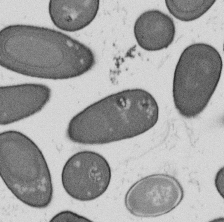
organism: B. subtilis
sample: Bacterial spore